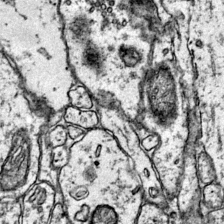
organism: Mouse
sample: Primary visual cortex